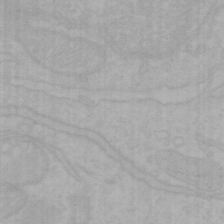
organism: Mouse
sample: Choroid plexus